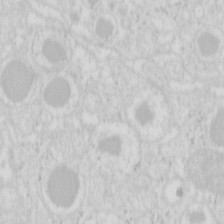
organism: Mouse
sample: Pancreas